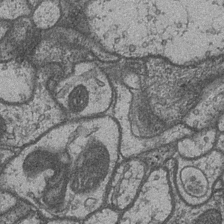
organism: Drosophila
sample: Optic medulla